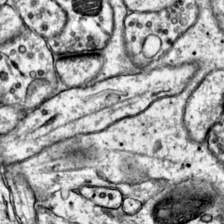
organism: Mouse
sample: Primary visual cortex